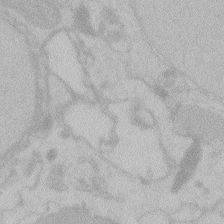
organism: Zebrafish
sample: Macrophage infected with Toxoplasma gondii